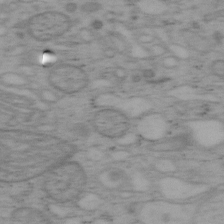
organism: Mouse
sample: OT-I killer T cells with ID8 ovarian cancer cells